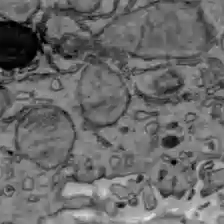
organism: C57BL Mouse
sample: Liver